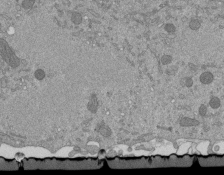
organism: Mouse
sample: ED-1 cell nuclei; centrioles